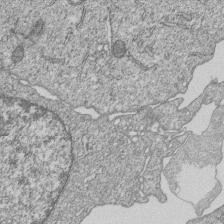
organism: Human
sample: MDA-MB-231 cells